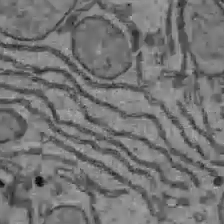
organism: C57BL Mouse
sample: Liver